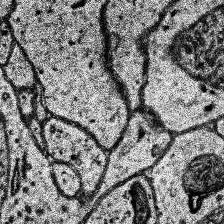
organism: Human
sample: Temporal Lobe